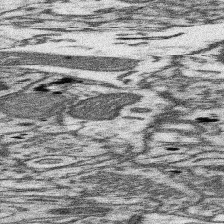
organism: Mouse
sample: Somatosensory cortex neuropil